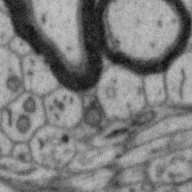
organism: Zebra finch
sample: Brain